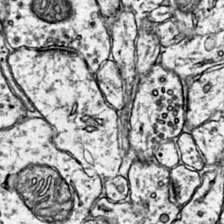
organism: Mouse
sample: Primary visual cortex